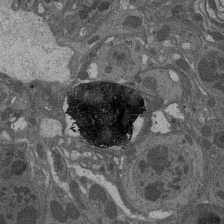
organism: Drosophila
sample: Antenna